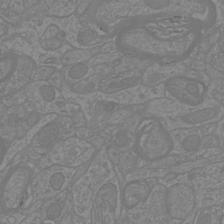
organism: Mouse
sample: Cortical neurons